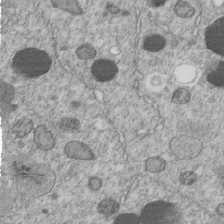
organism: C. elegans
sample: C. elegans embryo early stage